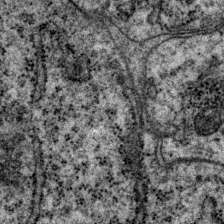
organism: P. pacificus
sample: Pharynx